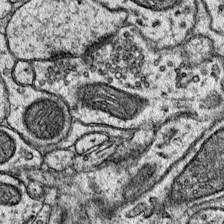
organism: Mouse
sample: Primary visual cortex